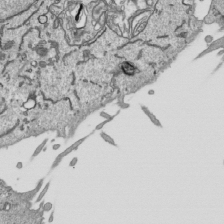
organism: Human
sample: Mitochondria in HCT116 cells